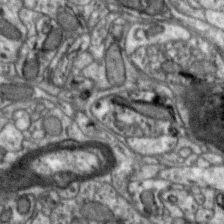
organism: Zebra finch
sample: Brain